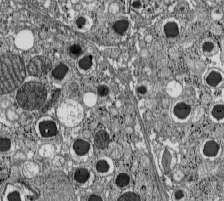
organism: C57BL Mouse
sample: Pancreatic islet